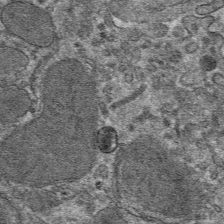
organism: Mouse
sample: Mouse hepatocytes